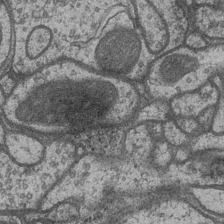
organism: Drosophila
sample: Optic medulla